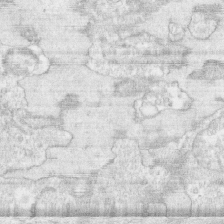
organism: Human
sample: CRL-1474